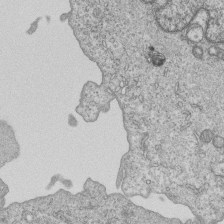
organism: Human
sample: MDA-MB-231 cells